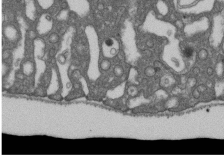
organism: Drosophila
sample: Nephrocyte